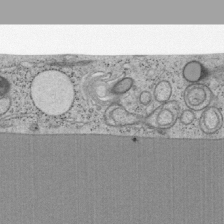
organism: Human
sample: HeLa cells